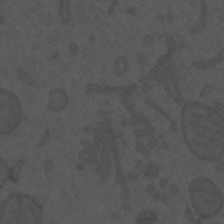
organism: Mouse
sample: Suprachiasmatic nucleus